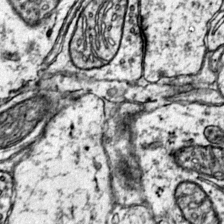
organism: Mouse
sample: Primary visual cortex